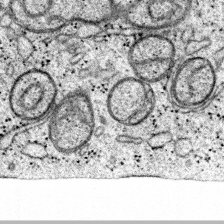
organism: Human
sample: HeLa cells